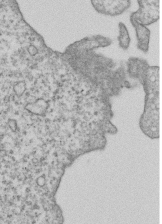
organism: Human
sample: MDA-MB-231 cells